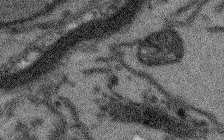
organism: Arabidopsis thaliana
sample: Root tip